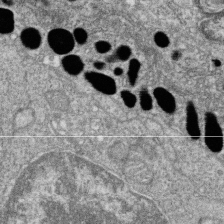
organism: Zebrafish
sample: Cilia; retinal pigment epithelium